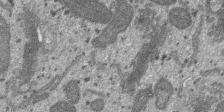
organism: Human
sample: Lung epithelial cells infected with SARS-CoV-2